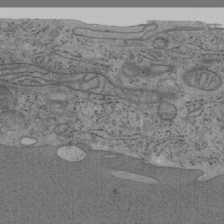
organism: Human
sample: HeLa cells